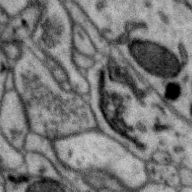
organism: Zebra finch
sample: Brain